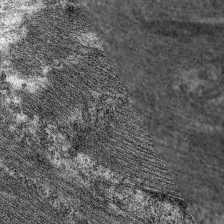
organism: C. elegans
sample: Pharynx